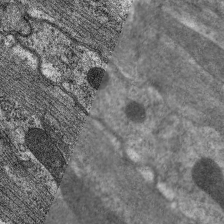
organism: C. elegans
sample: Pharynx